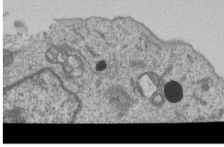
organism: Human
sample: MDA-MB-231 cells